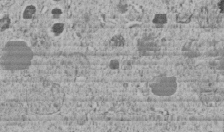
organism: C. elegans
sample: C. elegans embryo early stage